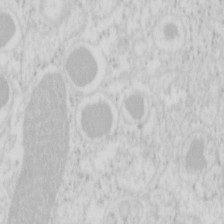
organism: Mouse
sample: Pancreas